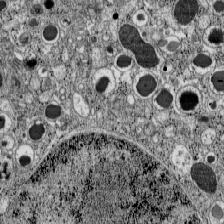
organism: C57BL Mouse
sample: Pancreatic islet